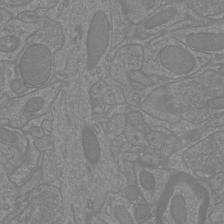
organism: Mouse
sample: Cortical neurons